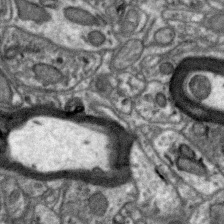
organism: Zebra finch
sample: Brain